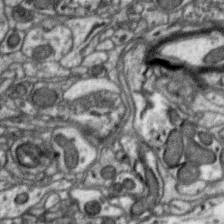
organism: Zebra finch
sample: Brain